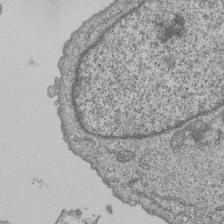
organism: Human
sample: MDA-MB-231 cells